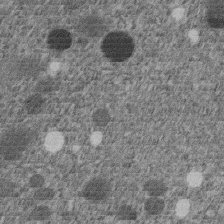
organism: C. elegans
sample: C. elegans embryo early stage